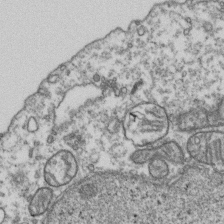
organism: Human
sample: Activated Jurkat CD4+ T cells